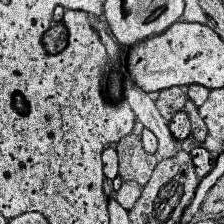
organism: Human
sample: Temporal Lobe